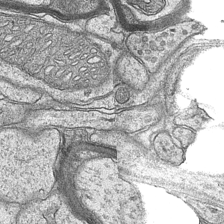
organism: Mouse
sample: CA1 Hippocampus